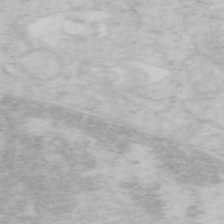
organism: Mouse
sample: OT-I killer T cells with ID8 ovarian cancer cells